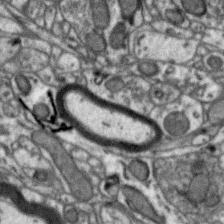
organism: Zebra finch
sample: Brain